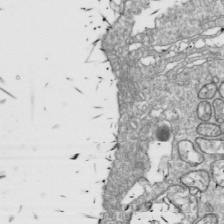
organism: Drosophila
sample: Cell division; meiosis; drosophila spermatocytes